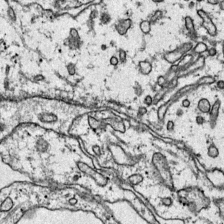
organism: Mouse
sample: Primary visual cortex